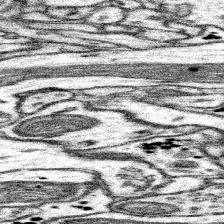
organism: Mouse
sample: Somatosensory cortex neuropil